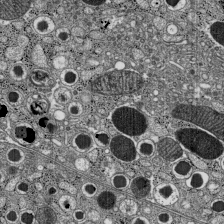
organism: C57BL Mouse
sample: Pancreatic islet